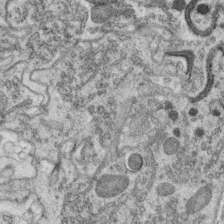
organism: C. elegans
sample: C. elegans oocyte; sperm cells